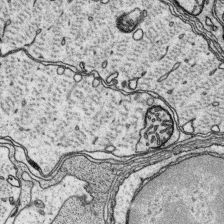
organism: Platynereis dumerilii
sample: Parapodia